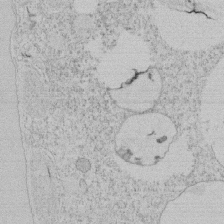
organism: Tetrahymena